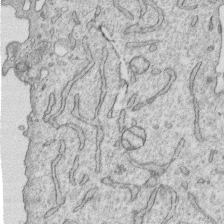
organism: Human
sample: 1205lu cells